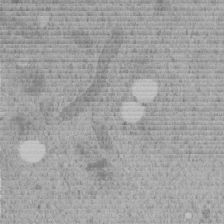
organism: C. elegans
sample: C. elegans embryo early stage